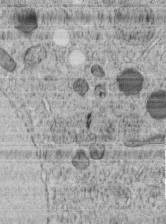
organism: C. elegans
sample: C. elegans embryo early stage